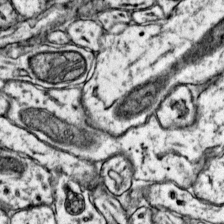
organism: Mouse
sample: Primary visual cortex